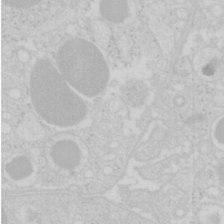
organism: Mouse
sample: Pancreas